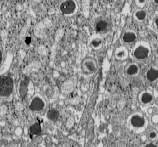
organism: C57BL Mouse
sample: Pancreatic islet